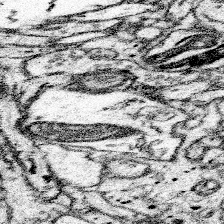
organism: Mouse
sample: Somatosensory cortex neuropil